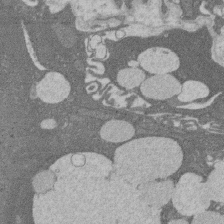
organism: Rat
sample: Salivary granule